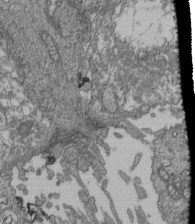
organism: Human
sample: Retinal organoid Rod and Cone cells